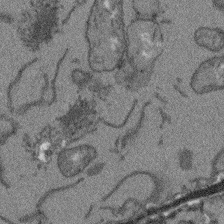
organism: Arabidopsis thaliana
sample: Root tip